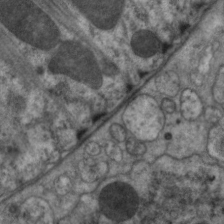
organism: C. elegans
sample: Pharynx